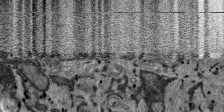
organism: Human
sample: Lung epithelial cells, uninfected (mock) control